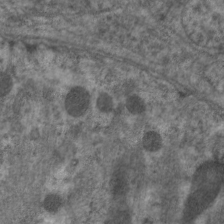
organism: C. elegans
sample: Pharynx